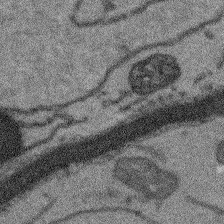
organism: Arabidopsis thaliana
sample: Root tip